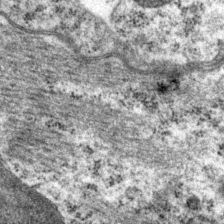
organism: P. pacificus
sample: Pharynx